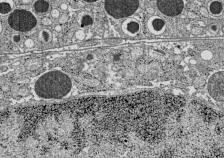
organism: C57BL Mouse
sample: Pancreatic islet